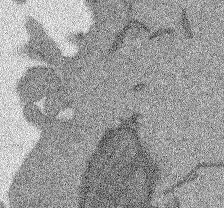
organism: Human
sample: HeLa cells